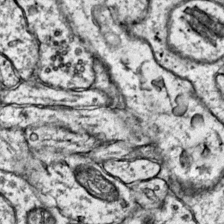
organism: Mouse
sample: Primary visual cortex